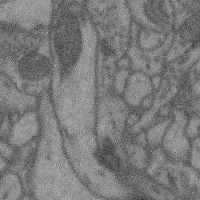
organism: Mouse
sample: Cerebral cortex